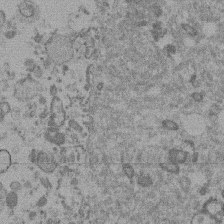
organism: Mouse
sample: Dividing mouse embryo 1 cell stage